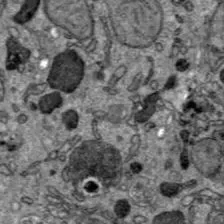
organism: C57BL Mouse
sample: Liver